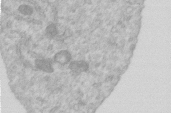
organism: Human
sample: Centriole in RPE cells